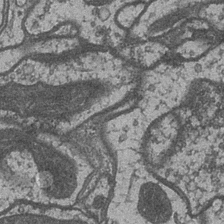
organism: Drosophila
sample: Optic medulla